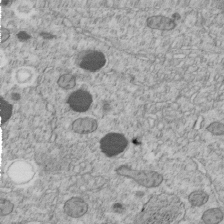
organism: C. elegans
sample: C. elegans embryo early stage